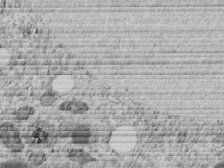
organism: C. elegans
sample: C. elegans embryo early stage